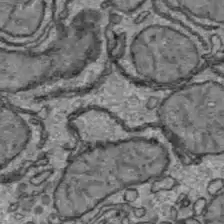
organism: C57BL Mouse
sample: Liver